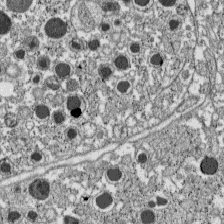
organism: C57BL Mouse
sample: Pancreatic islet